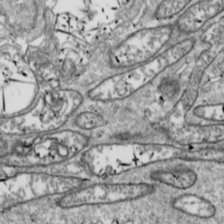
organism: Drosophila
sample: Cell division; meiosis; drosophila spermatocytes